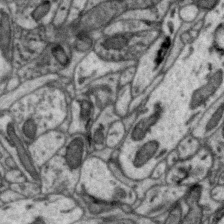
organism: Zebra finch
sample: Brain